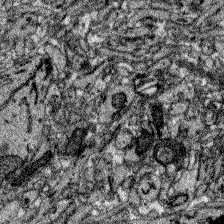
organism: Zebrafish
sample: Larval olfactory bulb